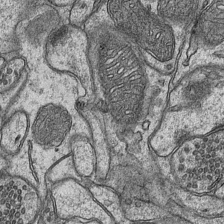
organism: Mouse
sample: CA1 Hippocampus